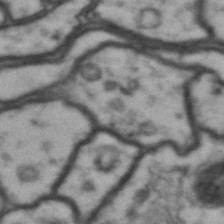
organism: Drosophila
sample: Brain